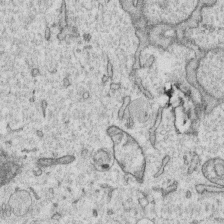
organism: Human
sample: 1205lu cells